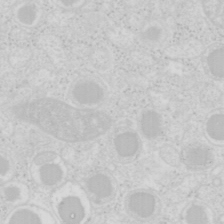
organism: Mouse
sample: Pancreas